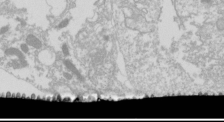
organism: Drosophila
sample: Cell division; meiosis; drosophila spermatocytes